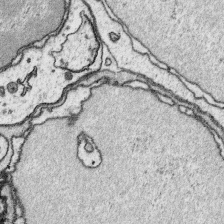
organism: Platynereis dumerilii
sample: Parapodia